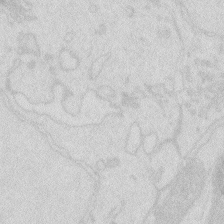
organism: Zebrafish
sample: Macrophage